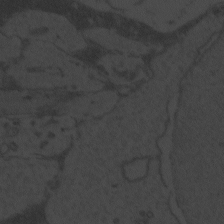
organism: Zebrafish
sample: Macrophage infected with Toxoplasma gondii